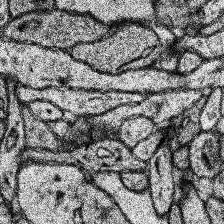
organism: Human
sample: Temporal Lobe